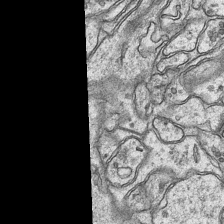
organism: Mouse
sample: CA1 Hippocampus